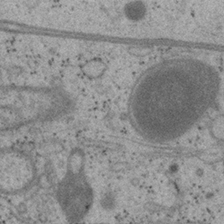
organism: Human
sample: HeLa cells